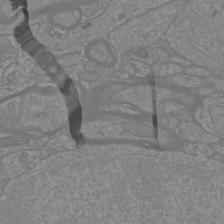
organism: Mouse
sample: Cortical neurons